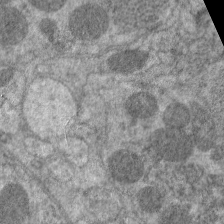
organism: C. elegans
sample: Pharynx